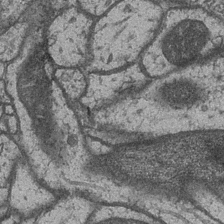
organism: Drosophila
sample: Optic medulla